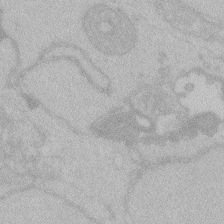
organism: Zebrafish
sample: Macrophage infected with Toxoplasma gondii